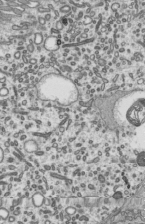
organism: Mouse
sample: Mouse epididymis efferent ductule cilia